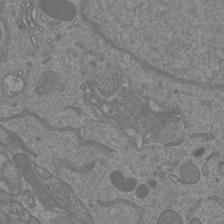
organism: Mouse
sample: Cortical neurons